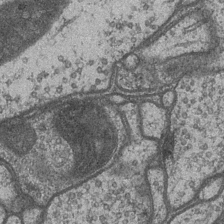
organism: Drosophila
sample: Optic medulla